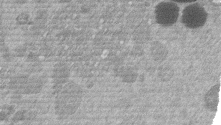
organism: Mouse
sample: Dividing mouse embryo 1 cell stage